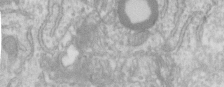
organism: Human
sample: Centriole in RPE cells